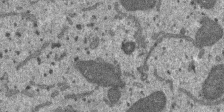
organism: Human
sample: Lung epithelial cells infected with SARS-CoV-2